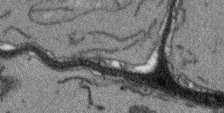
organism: Arabidopsis thaliana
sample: Root tip